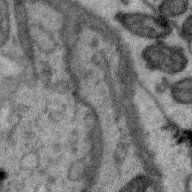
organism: Zebra finch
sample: Brain